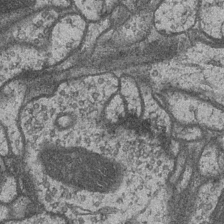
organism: Drosophila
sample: Optic medulla